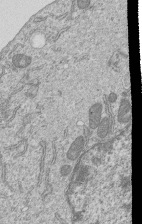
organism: Human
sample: MDA-MB-231 cells